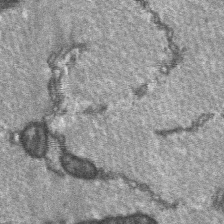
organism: C57BL Mouse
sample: Soleus